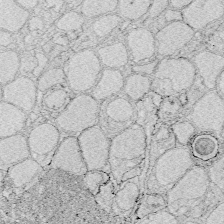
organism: Zebrafish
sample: Whole-Brain